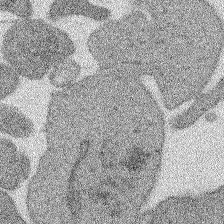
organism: Human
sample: HeLa cells